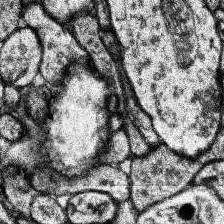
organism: Human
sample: Temporal Lobe